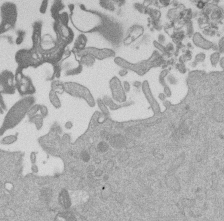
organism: Mouse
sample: Dividing mouse embryo 1 cell stage